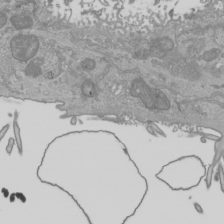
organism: Human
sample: Mitochondria in HCT116 cells